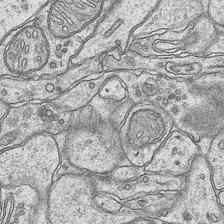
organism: Mouse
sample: CA1 Hippocampus